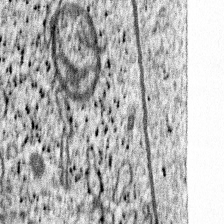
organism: Human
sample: HeLa cells